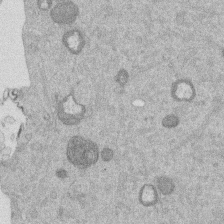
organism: Mouse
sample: Dividing mouse embryo 1 cell stage